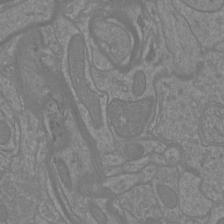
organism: Mouse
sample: Cortical neurons